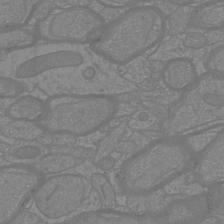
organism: Mouse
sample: Cortical neurons